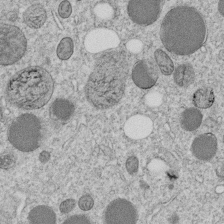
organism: C. elegans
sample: C. elegans embryo early stage